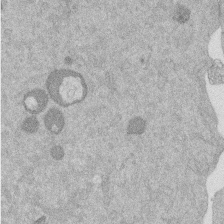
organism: Mouse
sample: Dividing mouse embryo 1 cell stage